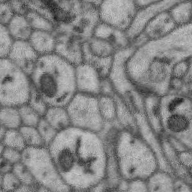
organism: Zebra finch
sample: Brain